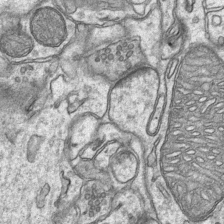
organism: Mouse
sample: CA1 Hippocampus